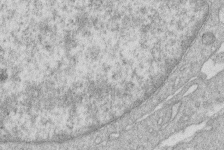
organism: Human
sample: Macrophage cells